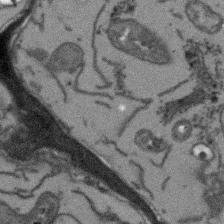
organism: Arabidopsis thaliana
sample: Root tip